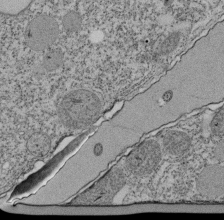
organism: Tetrahymena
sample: Cilia in tetrahymena